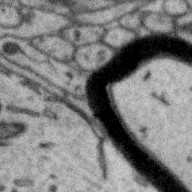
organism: Zebra finch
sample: Brain